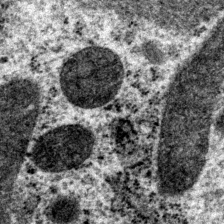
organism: P. pacificus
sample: Pharynx